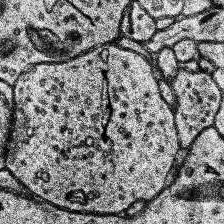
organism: Human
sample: Temporal Lobe